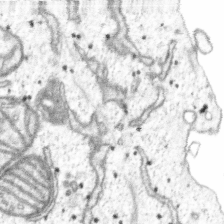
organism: Human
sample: HeLa cells